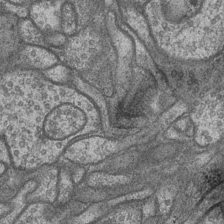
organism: Drosophila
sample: Optic medulla